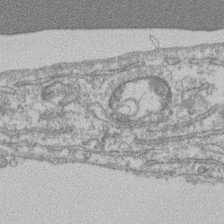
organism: Mouse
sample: T cell stromal cell synapse